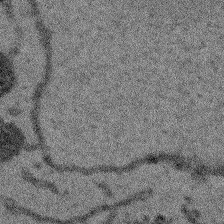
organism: Arabidopsis thaliana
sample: Root tip